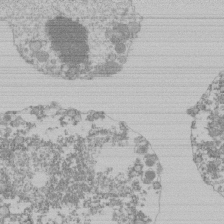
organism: Mouse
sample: Activated Pmel transgenic CD8+ T Cells